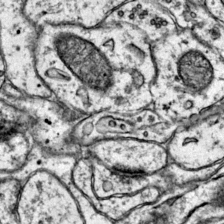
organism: Mouse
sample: Primary visual cortex